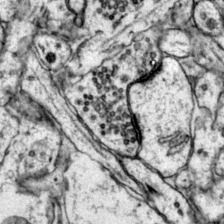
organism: Mouse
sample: Primary visual cortex